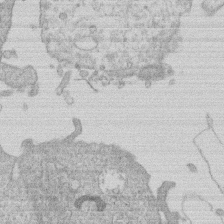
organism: Human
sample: Macrophage cells